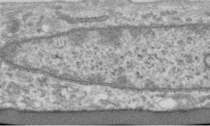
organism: Human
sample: Centriole in RPE cells